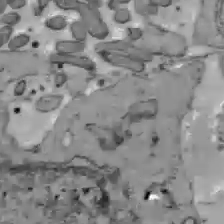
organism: C57BL Mouse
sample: Liver